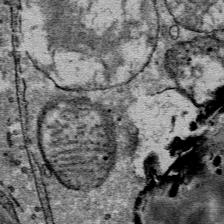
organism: Mouse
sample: Mouse Salivary gland